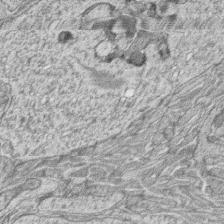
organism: Zebrafish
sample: synaptic ribbons in rod cells and cone cells